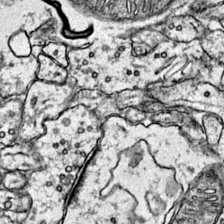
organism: Mouse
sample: Primary visual cortex